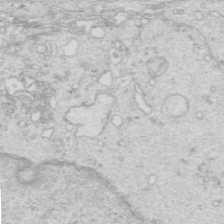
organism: Mouse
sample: Multiciliated cells